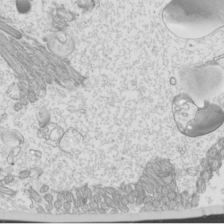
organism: Mouse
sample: Cilia; mouse epididymis